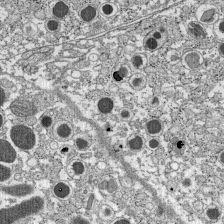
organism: C57BL Mouse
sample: Pancreatic islet